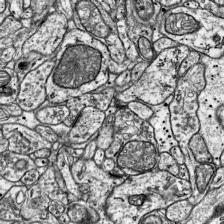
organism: Mouse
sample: Visual Cortex